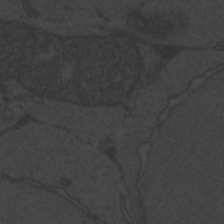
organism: Zebrafish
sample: Macrophage infected with Toxoplasma gondii